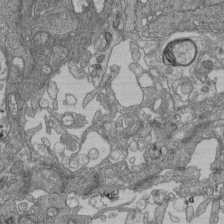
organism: Human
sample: Retinal organoid Rod and Cone cells